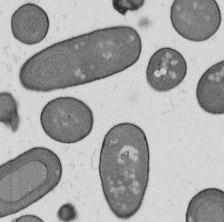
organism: B. subtilis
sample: Bacterial spore